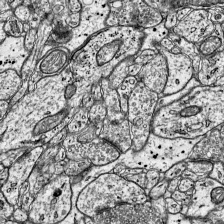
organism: Mouse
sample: Visual Cortex